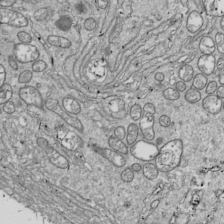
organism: Drosophila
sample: Cell division; meiosis; drosophila spermatocytes